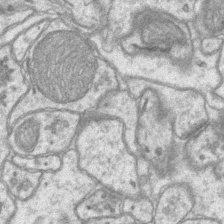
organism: Mouse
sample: CA1 Hippocampus